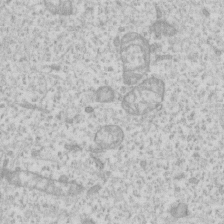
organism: Human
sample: Fibroblast cells